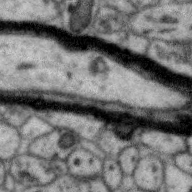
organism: Zebra finch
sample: Brain